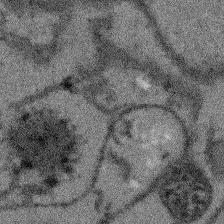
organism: Arabidopsis thaliana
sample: Root tip